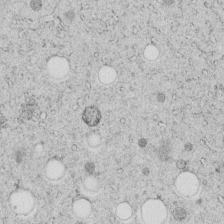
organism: C. elegans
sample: C. elegans embryo early stage